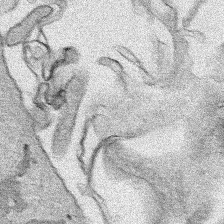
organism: Human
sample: Mitochondria in HCT116 cells